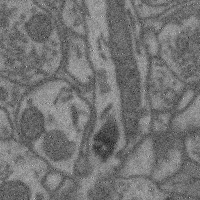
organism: Mouse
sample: Cerebral cortex